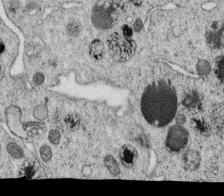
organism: C. elegans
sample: C. elegans oocyte; sperm cells